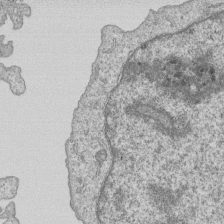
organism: Human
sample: MDA-MB-231 cells